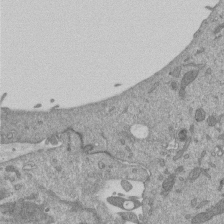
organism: Mouse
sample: ED-1 cell nuclei; centrioles